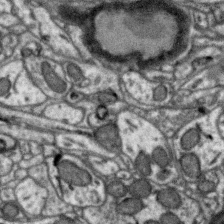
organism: Zebra finch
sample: Brain